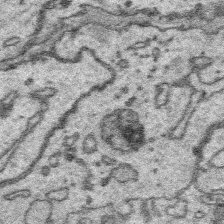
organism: Platynereis dumerilii